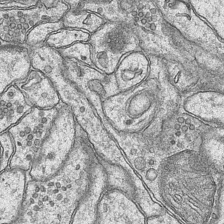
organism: Mouse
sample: CA1 Hippocampus